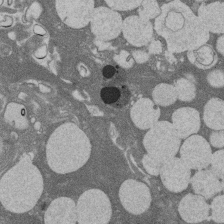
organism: Rat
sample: Salivary granule